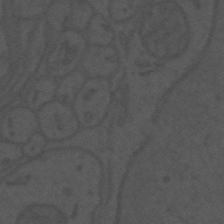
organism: Mouse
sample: Suprachiasmatic nucleus